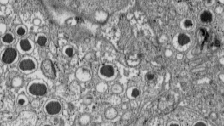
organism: C57BL Mouse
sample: Pancreatic islet